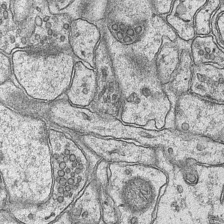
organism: Mouse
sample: CA1 Hippocampus